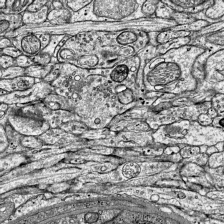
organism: Mouse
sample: Visual Cortex